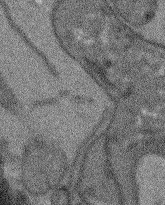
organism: Arabidopsis thaliana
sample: Root tip